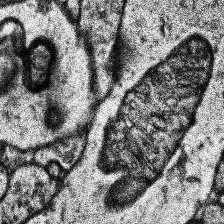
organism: Human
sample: Temporal Lobe